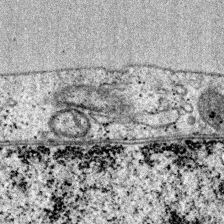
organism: Human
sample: HeLa cells